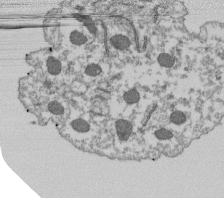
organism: Dictyostelium discoideum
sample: Dictyostelium multivesicular bodies